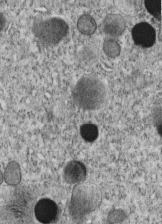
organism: C. elegans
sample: C. elegans embryo early stage